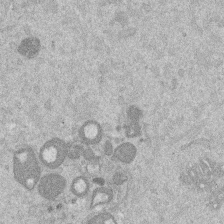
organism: Mouse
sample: Dividing mouse embryo 1 cell stage